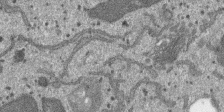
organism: Human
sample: Lung epithelial cells infected with SARS-CoV-2